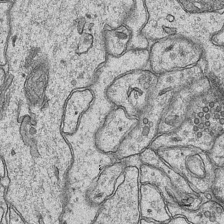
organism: Mouse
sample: CA1 Hippocampus